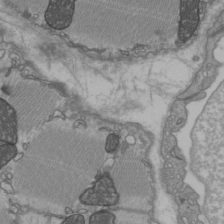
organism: C57BL Mouse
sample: Heart